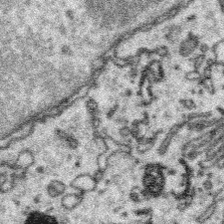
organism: Platynereis dumerilii